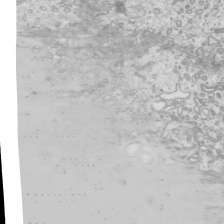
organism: Mouse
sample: Cilia; mouse epididymis